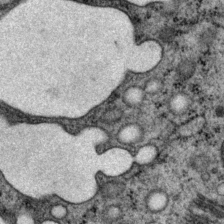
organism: P. pacificus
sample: Pharynx